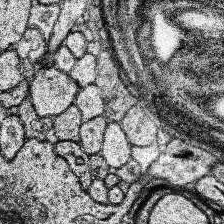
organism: Human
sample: Temporal Lobe